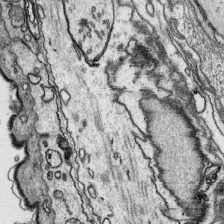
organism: Platynereis dumerilii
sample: Parapodia